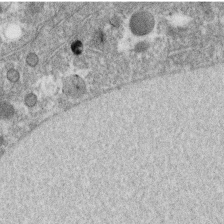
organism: C. elegans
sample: C. elegans oocyte; sperm cells